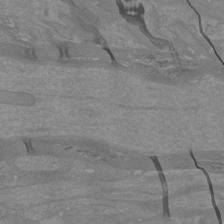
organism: Mouse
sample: Cortical neurons